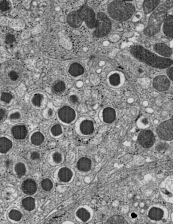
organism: C57BL Mouse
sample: Pancreatic islet